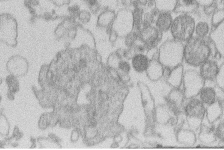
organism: Human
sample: Macrophage cells